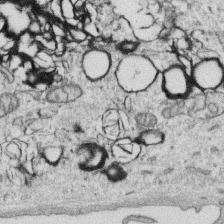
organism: Human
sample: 1205lu cells